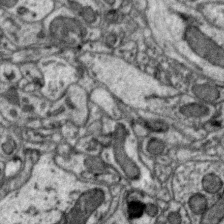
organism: Zebra finch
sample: Brain